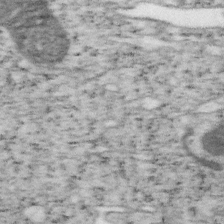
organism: Mouse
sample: OT-I killer T cells with ID8 ovarian cancer cells